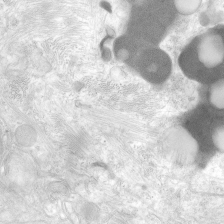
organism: Human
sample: Neocortex